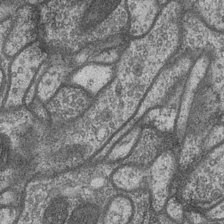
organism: Drosophila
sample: Optic medulla